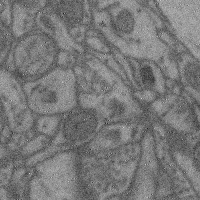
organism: Mouse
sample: Cerebral cortex